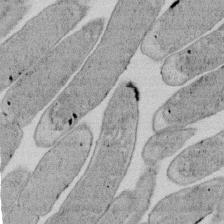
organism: E. coli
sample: Bacterial nucleoid